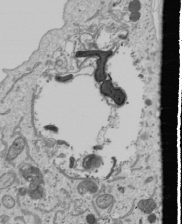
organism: Human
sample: Mitochondria in U2OS cells